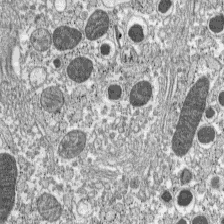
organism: C57BL Mouse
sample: Pancreatic islet